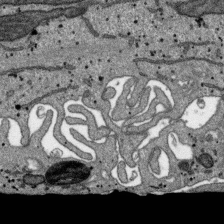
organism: Human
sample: Lung epithelial cells, uninfected (mock) control